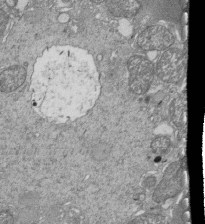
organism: Tetrahymena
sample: Cilia in tetrahymena